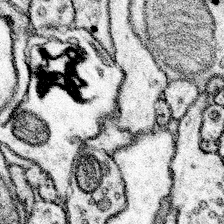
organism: Mouse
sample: Somatosensory cortex neuropil